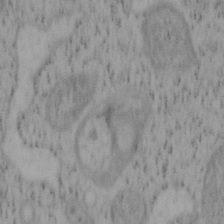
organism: Mouse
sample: OT-I killer T cells with ID8 ovarian cancer cells